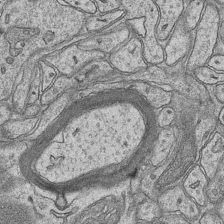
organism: Mouse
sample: CA1 Hippocampus